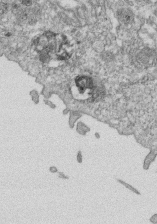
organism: Human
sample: HeLa cell HIV synapse